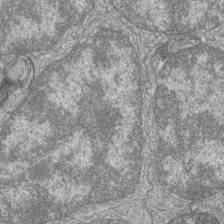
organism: Zebrafish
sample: Cilia; retinal pigment epithelium